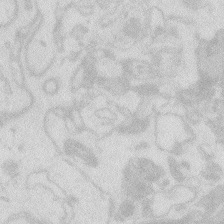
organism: Zebrafish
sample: Macrophage